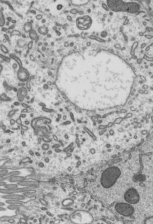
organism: Mouse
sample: Mouse epididymis efferent ductule cilia